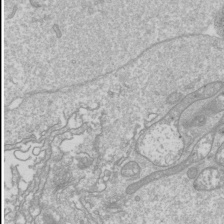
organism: Drosophila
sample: Cell division; meiosis; drosophila spermatocytes